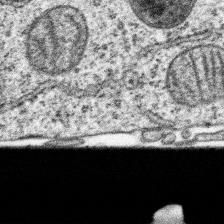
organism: Human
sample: HeLa cells